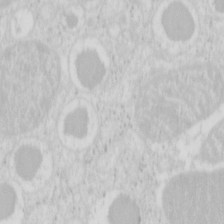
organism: Mouse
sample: Pancreas